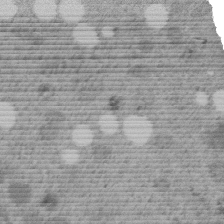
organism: C. elegans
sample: C. elegans embryo early stage